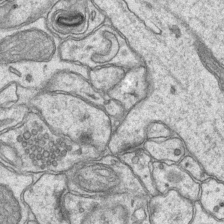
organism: Mouse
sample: CA1 Hippocampus